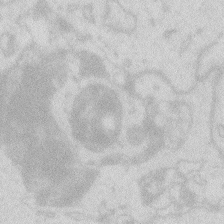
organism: Zebrafish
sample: Macrophage